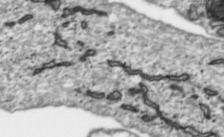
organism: Toxoplasma gondii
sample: Parasites in a vacuole inside a host cell